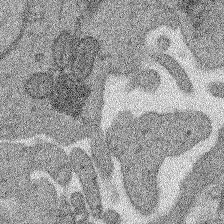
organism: Human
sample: HeLa cells